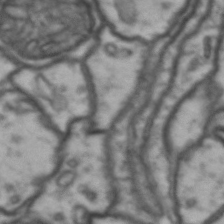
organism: Drosophila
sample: Brain